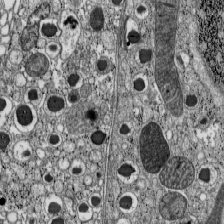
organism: C57BL Mouse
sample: Pancreatic islet